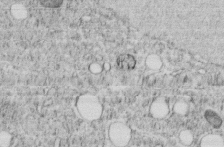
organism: C. elegans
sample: C. elegans embryo early stage